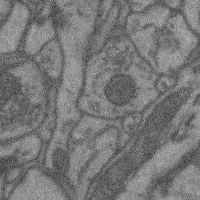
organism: Mouse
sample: Cerebral cortex